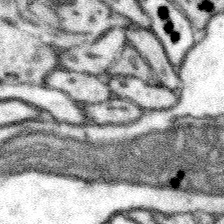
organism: Mouse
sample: Somatosensory cortex neuropil